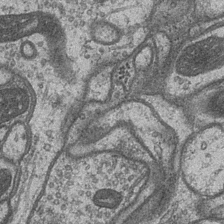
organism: Drosophila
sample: Optic medulla